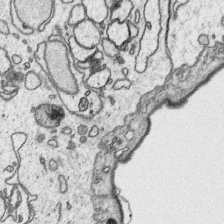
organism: Platynereis dumerilii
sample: Parapodia